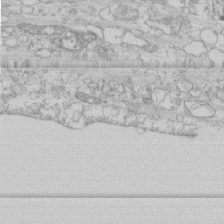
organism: Human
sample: CRL-1474